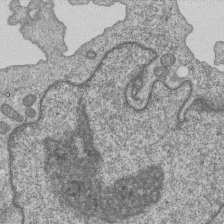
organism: Human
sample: MDA-MB-231 cells